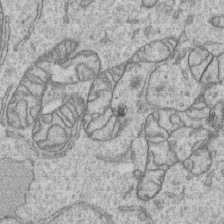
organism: Human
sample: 1205lu cells